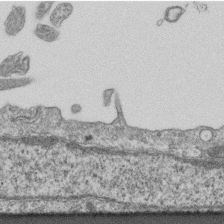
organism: Mouse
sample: Centriole in ependymal cells